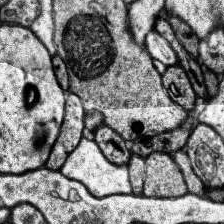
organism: Human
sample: Temporal Lobe